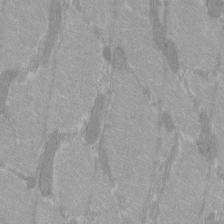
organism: C57BL Mouse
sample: Tibialis anterior muscle cell